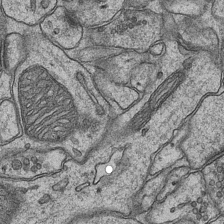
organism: Mouse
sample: CA1 Hippocampus